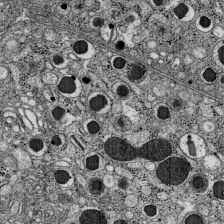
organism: C57BL Mouse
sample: Pancreatic islet